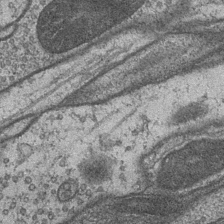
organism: Drosophila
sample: Optic medulla